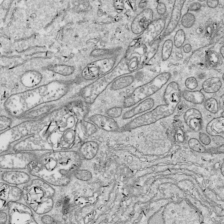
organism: Drosophila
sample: Cell division; meiosis; drosophila spermatocytes